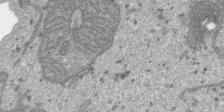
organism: Human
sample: Lung epithelial cells infected with SARS-CoV-2